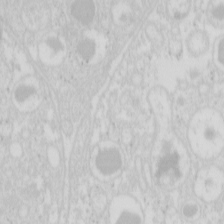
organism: Mouse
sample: Pancreas